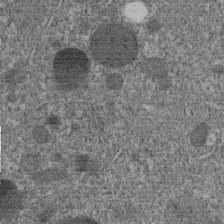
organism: C. elegans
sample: C. elegans embryo early stage